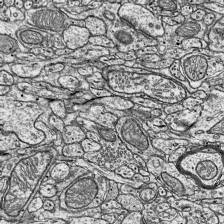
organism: Mouse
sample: Visual Cortex